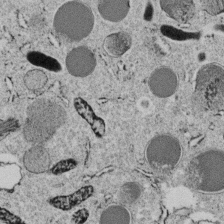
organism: C. elegans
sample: C. elegans embryo early stage